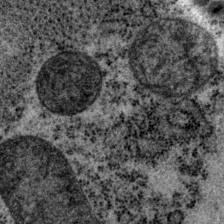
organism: P. pacificus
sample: Pharynx